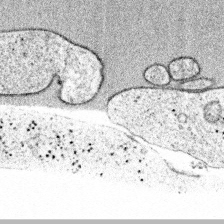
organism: Human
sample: HeLa cells